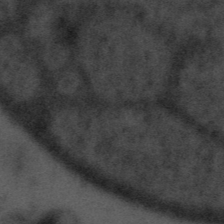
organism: Tuwongella immobilis